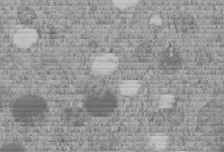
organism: C. elegans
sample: C. elegans embryo early stage